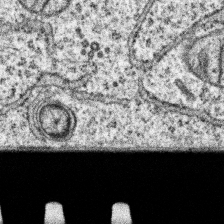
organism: Human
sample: HeLa cells